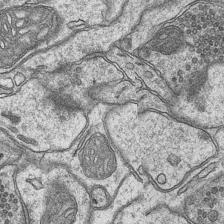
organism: Mouse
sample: CA1 Hippocampus